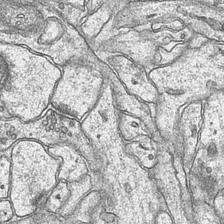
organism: Mouse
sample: CA1 Hippocampus